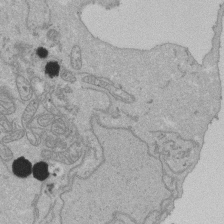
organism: Human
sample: Activated Jurkat CD4+ T cells